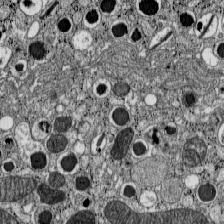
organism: C57BL Mouse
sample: Pancreatic islet